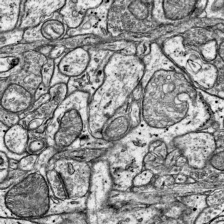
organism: Mouse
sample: Visual Cortex